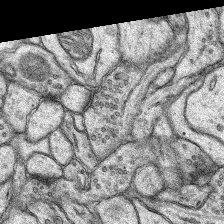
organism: Rat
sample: Hippocampus